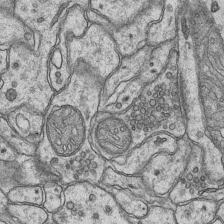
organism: Mouse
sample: CA1 Hippocampus